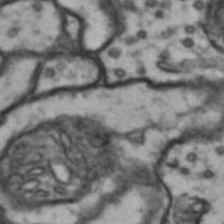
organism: Drosophila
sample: Brain